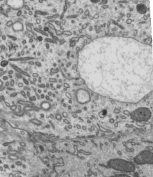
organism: Mouse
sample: Mouse epididymis efferent ductule cilia